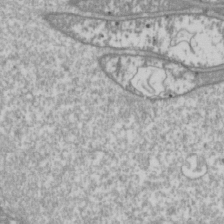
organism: Drosophila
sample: Cell division; meiosis; drosophila spermatocytes